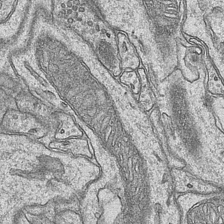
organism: Mouse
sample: CA1 Hippocampus